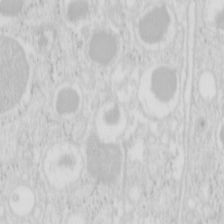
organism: Mouse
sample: Pancreas